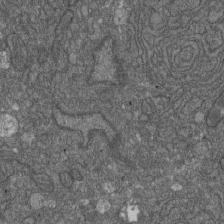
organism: Drosophila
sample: Nephrocyte